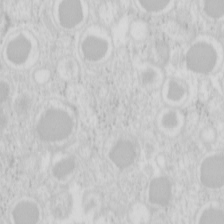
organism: Mouse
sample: Pancreas